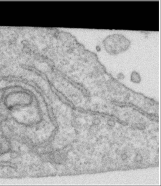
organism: Human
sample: Centriole in RPE cells